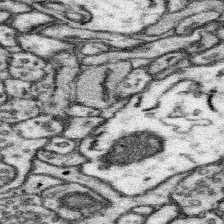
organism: Mouse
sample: Somatosensory cortex neuropil